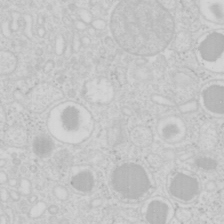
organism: Mouse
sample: Pancreas